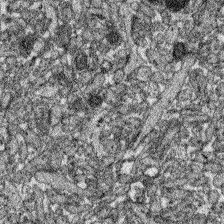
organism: Zebrafish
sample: Larval olfactory bulb